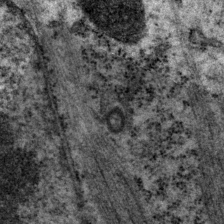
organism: P. pacificus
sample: Pharynx